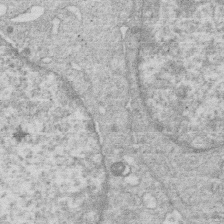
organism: Human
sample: Macrophage cells